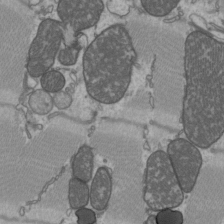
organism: C57BL Mouse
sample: Heart